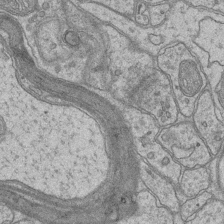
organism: Mouse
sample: CA1 Hippocampus